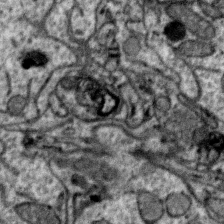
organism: Zebra finch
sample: Brain